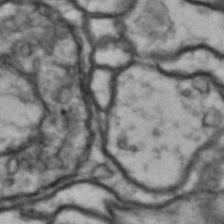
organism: Drosophila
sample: Brain